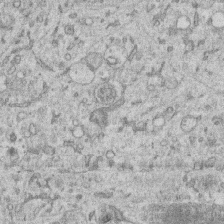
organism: Human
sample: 1205lu cells